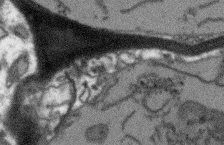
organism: Arabidopsis thaliana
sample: Root tip